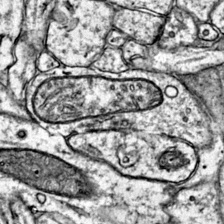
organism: Mouse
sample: Primary visual cortex